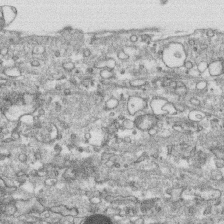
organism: Human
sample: CRL-1474